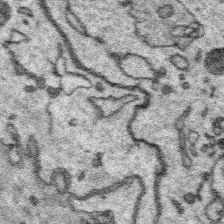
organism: Platynereis dumerilii